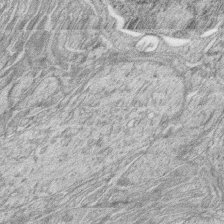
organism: Zebrafish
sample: synaptic ribbons in rod cells and cone cells